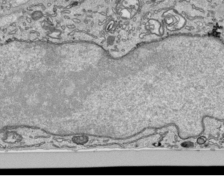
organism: Human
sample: Mitochondria in HCT116 cells